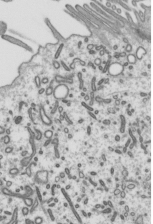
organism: Mouse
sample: Mouse epididymis efferent ductule cilia